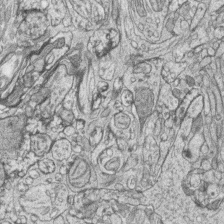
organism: Zebrafish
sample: synaptic ribbons in rod cells and cone cells